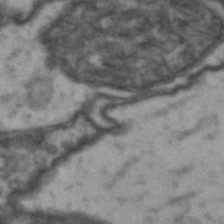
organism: Drosophila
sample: Brain